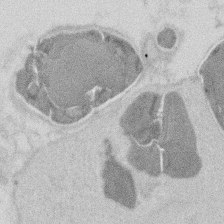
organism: Mouse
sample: T cell stromal cell synapse